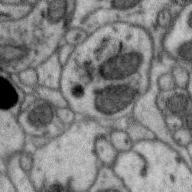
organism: Zebra finch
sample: Brain